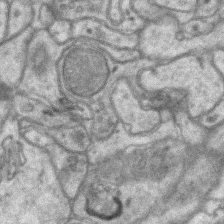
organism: Mouse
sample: CA1 Hippocampus